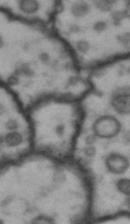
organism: Drosophila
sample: Brain